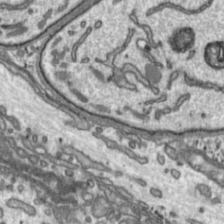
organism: Toxoplasma gondii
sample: Parasites in a vacuole inside a host cell